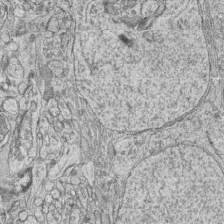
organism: Zebrafish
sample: synaptic ribbons in rod cells and cone cells